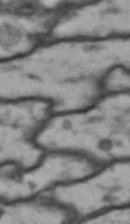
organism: Drosophila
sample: Brain